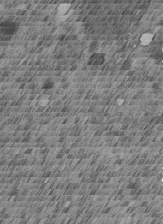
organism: C. elegans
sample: C. elegans embryo early stage